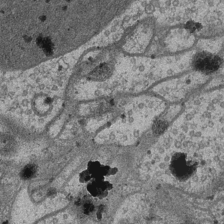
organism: Drosophila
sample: Optic medulla